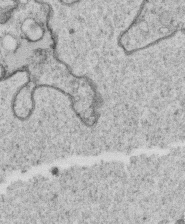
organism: C. elegans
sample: C. elegans oocyte; sperm cells